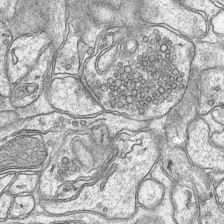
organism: Mouse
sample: CA1 Hippocampus